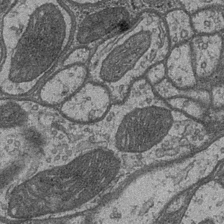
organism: Drosophila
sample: Optic medulla